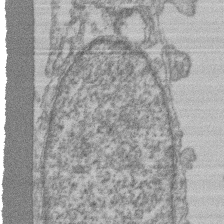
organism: Mouse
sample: T cell stromal cell synapse